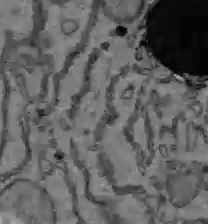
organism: C57BL Mouse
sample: Liver